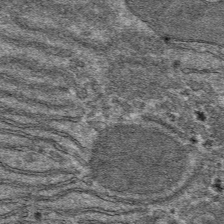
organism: Mouse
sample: Mouse hepatocytes